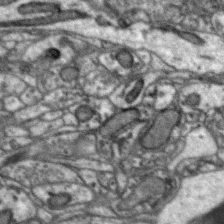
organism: Zebra finch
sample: Brain